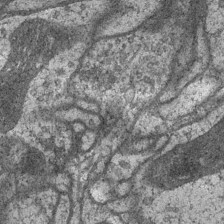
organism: Drosophila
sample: Optic medulla